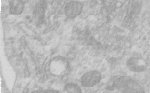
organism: Human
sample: Centriole in RPE cells